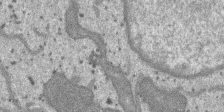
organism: Human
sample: Lung epithelial cells infected with SARS-CoV-2